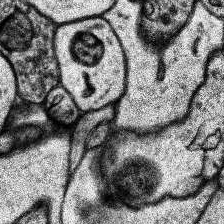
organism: Human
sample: Temporal Lobe